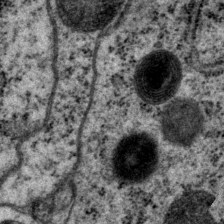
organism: P. pacificus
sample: Pharynx